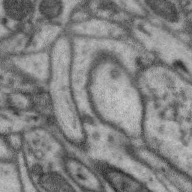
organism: Zebra finch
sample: Brain